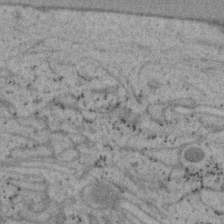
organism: Human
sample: HeLa cells